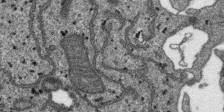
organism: Human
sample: Lung epithelial cells infected with SARS-CoV-2